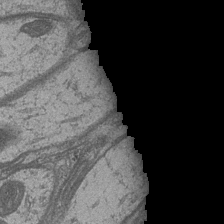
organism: Drosophila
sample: Optic medulla